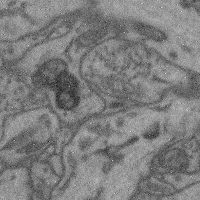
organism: Mouse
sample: Cerebral cortex